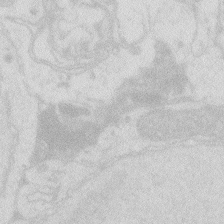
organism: Zebrafish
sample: Macrophage